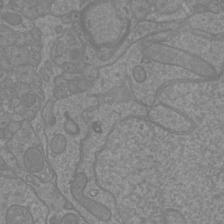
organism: Mouse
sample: Cortical neurons